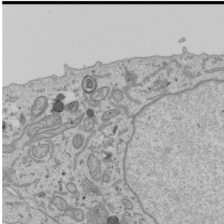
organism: Human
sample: Mitochondria in U2OS cells